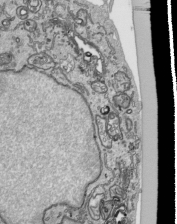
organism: Human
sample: Mitochondria in HCT116 cells